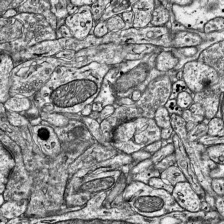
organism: Mouse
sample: Visual Cortex